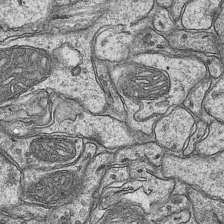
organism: Mouse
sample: CA1 Hippocampus